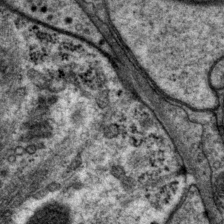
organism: P. pacificus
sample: Pharynx